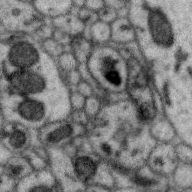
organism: Zebra finch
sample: Brain